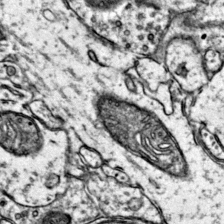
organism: Mouse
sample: Primary visual cortex